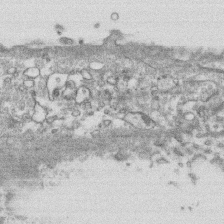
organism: Human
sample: CRL-1474